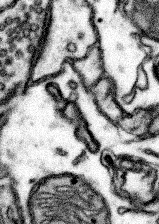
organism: Mouse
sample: Somatosensory cortex neuropil